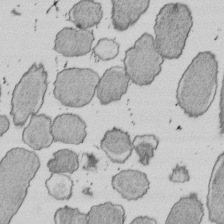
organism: E. coli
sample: Bacterial nucleoid